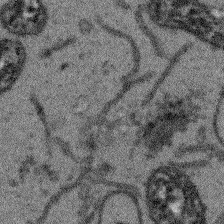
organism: Arabidopsis thaliana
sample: Root tip